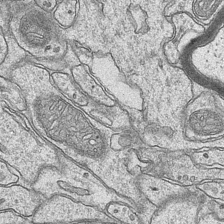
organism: Mouse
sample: CA1 Hippocampus